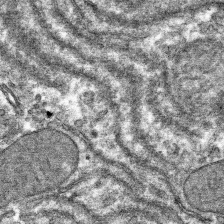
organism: Mouse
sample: Mouse hepatocytes